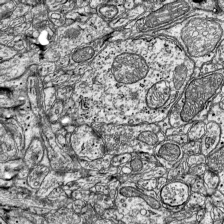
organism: Mouse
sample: Visual Cortex